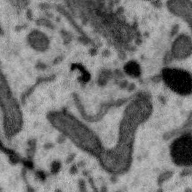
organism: Zebra finch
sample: Brain